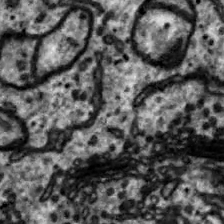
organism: Human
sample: HeLa cells